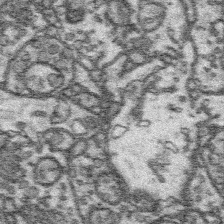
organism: Platynereis dumerilii